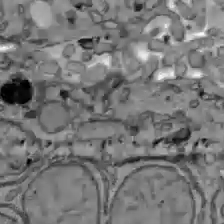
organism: C57BL Mouse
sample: Liver